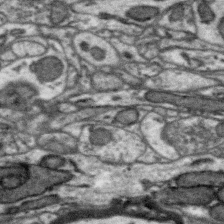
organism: Zebra finch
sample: Brain